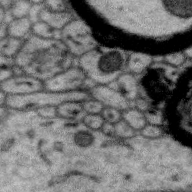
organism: Zebra finch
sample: Brain